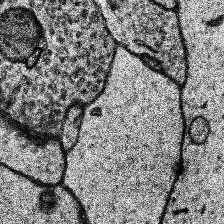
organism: Human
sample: Temporal Lobe